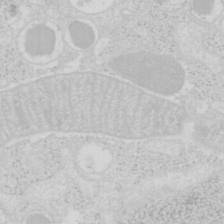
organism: Mouse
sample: Pancreas